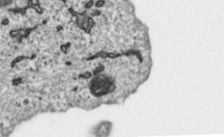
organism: Toxoplasma gondii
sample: Parasites in a vacuole inside a host cell